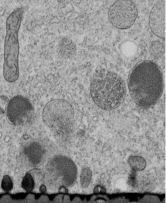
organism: C. elegans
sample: C. elegans embryo early stage